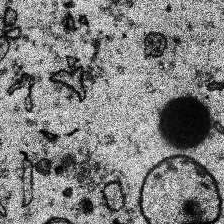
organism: Human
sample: Temporal Lobe